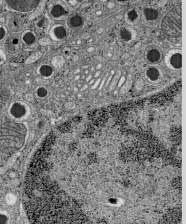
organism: C57BL Mouse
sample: Pancreatic islet